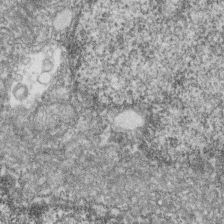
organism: Zebrafish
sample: Cilia; retinal pigment epithelium